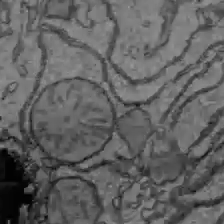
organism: C57BL Mouse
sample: Liver